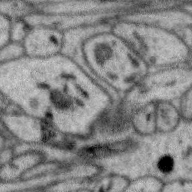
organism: Zebra finch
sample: Brain